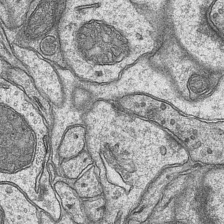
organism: Mouse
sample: CA1 Hippocampus